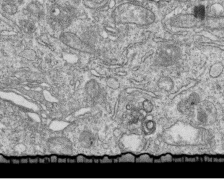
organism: Human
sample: HeLa cell HIV synapse